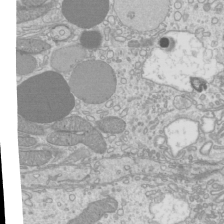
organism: Mouse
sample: Cilia; mouse epididymis